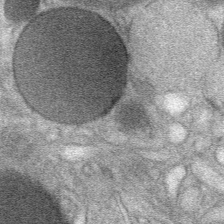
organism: Mouse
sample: Mouse Salivary gland